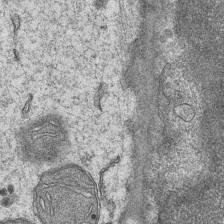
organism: Mouse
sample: CA1 Hippocampus